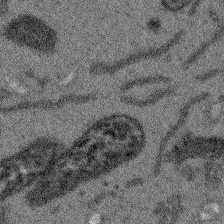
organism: Arabidopsis thaliana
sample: Root tip